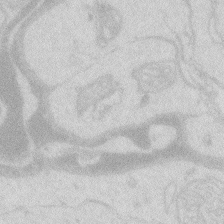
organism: Zebrafish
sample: Macrophage